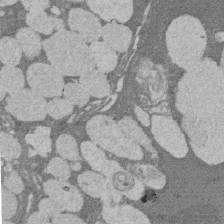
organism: Rat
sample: Salivary granule